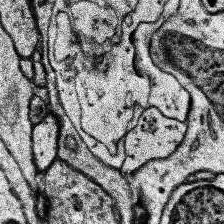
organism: Human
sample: Temporal Lobe